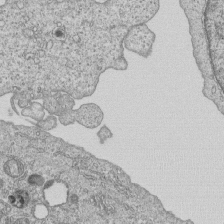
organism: Human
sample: MDA-MB-231 cells